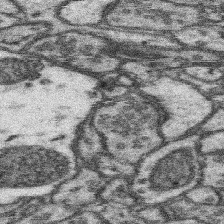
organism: Mouse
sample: Somatosensory cortex neuropil